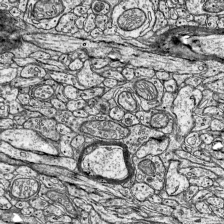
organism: Mouse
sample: Visual Cortex